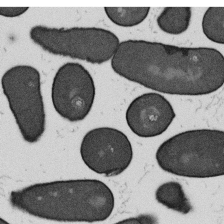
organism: B. subtilis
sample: Bacterial spore